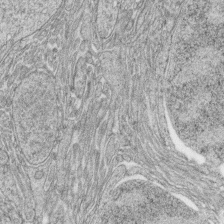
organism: Zebrafish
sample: synaptic ribbons in rod cells and cone cells